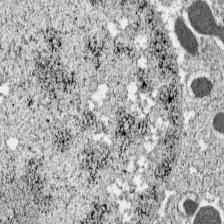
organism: C57BL Mouse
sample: Pancreatic islet